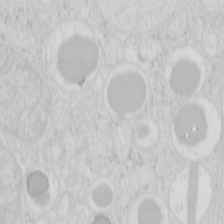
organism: Mouse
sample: Pancreas